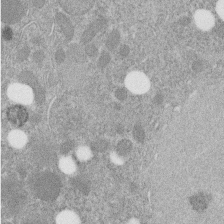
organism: C. elegans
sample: C. elegans embryo early stage